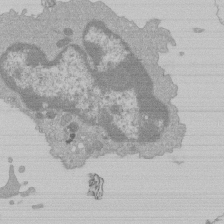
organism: Mouse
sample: Activated Pmel transgenic CD8+ T Cells